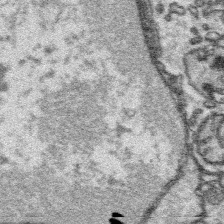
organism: Platynereis dumerilii